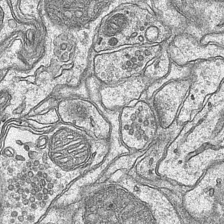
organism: Mouse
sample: CA1 Hippocampus